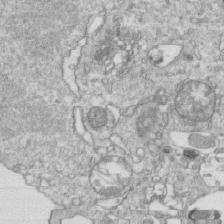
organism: Mouse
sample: Activated OT-1 CD8+ T cells